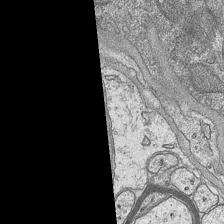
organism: Mouse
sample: CA1 Hippocampus